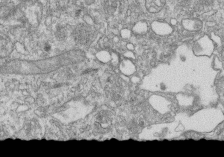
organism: Human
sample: HeLa cell HIV synapse